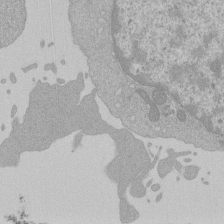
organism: Mouse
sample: Activated Pmel transgenic CD8+ T Cells